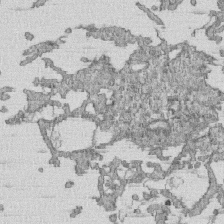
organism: Human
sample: HeLa cell HIV synapse